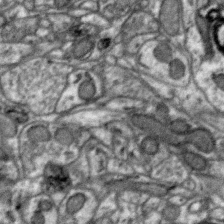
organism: Zebra finch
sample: Brain